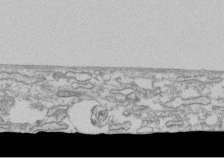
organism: Human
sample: Fibroblast cells